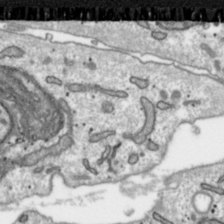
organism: Toxoplasma gondii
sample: Parasites in a vacuole inside a host cell